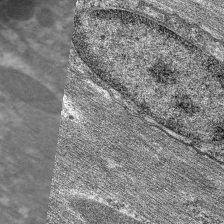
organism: C. elegans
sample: Pharynx